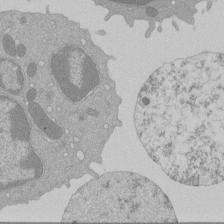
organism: Mouse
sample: Activated Pmel transgenic CD8+ T Cells